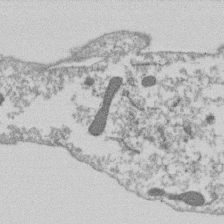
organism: Dictyostelium discoideum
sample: Dictyostelium multivesicular bodies